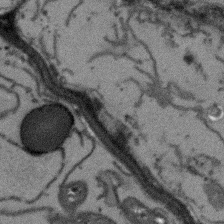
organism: Arabidopsis thaliana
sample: Root tip